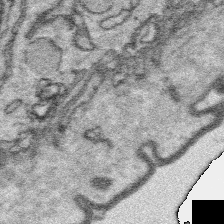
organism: Platynereis dumerilii